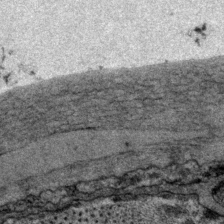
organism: P. pacificus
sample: Pharynx